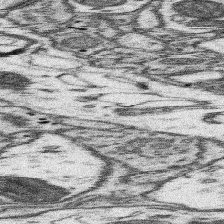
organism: Mouse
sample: Somatosensory cortex neuropil